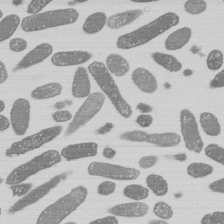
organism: E. coli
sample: Bacterial nucleoid